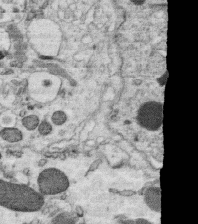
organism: C. elegans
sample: C. elegans oocyte; sperm cells